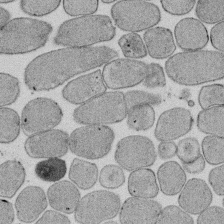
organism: E. coli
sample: Bacterial nucleoid